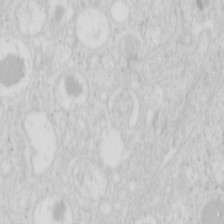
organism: Mouse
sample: Pancreas